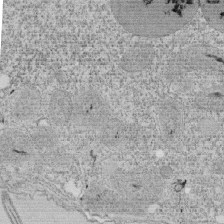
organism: Tetrahymena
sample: Cilia in tetrahymena